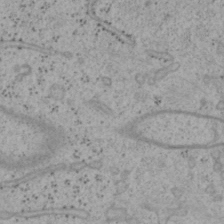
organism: Human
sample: HeLa cells